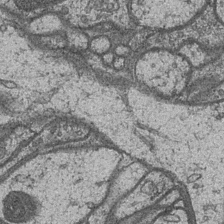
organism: Drosophila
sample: Optic medulla